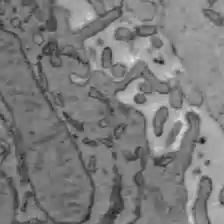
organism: C57BL Mouse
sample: Liver